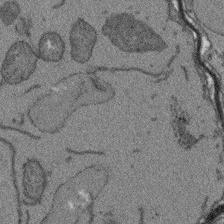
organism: Arabidopsis thaliana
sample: Root tip